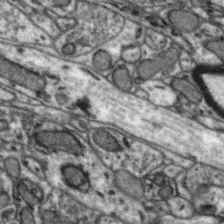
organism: Zebra finch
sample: Brain